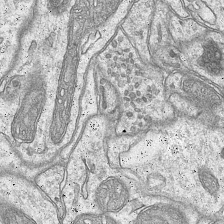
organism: Mouse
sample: CA1 Hippocampus